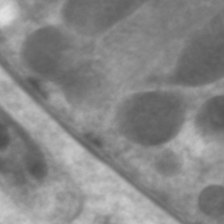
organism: C. elegans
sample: Pharynx